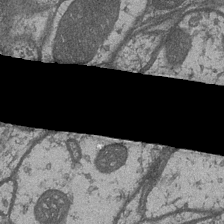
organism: Drosophila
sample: Optic medulla